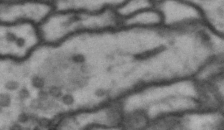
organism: Drosophila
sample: Brain